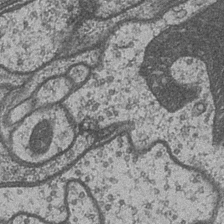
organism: Drosophila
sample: Optic medulla